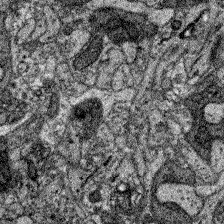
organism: Zebrafish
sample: Larval olfactory bulb